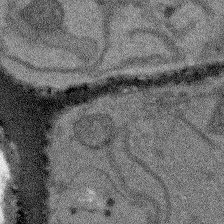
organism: Arabidopsis thaliana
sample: Root tip